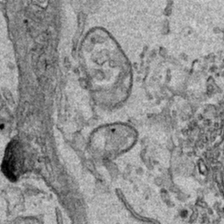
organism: Human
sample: Mitochondria in HCT116 cells